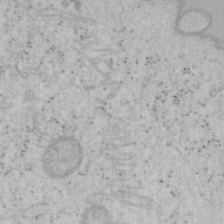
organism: Human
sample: HeLa cells